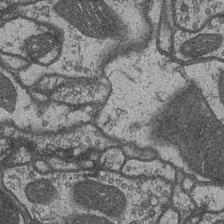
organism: Drosophila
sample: Optic medulla